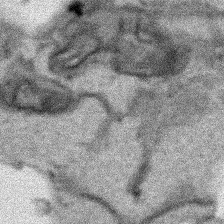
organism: Human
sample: Mitochondria in HCT116 cells